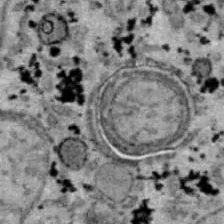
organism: Mouse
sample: Liver from an obese (ob/ob) mouse